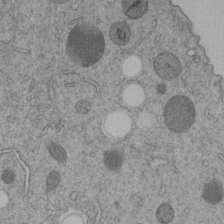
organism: C. elegans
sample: C. elegans embryo early stage